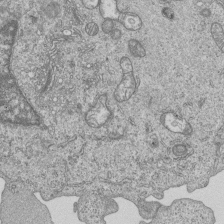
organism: Human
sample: MDA-MB-231 cells